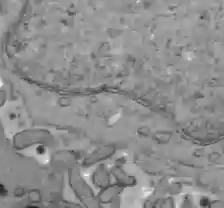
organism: C57BL Mouse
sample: Liver